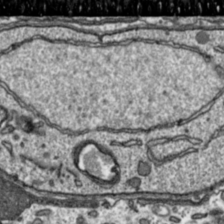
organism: Toxoplasma gondii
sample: Parasites in a vacuole inside a host cell